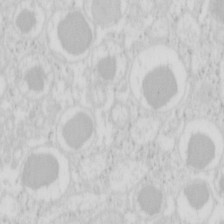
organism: Mouse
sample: Pancreas